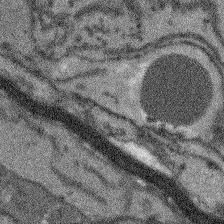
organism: Arabidopsis thaliana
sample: Root tip